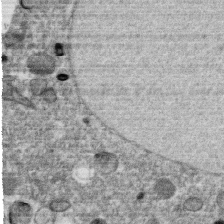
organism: C. elegans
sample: C. elegans oocyte; sperm cells